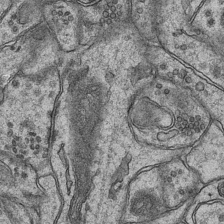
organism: Mouse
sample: CA1 Hippocampus